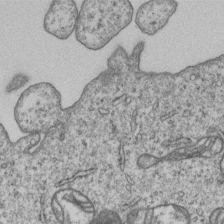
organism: Human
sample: MDA-MB-231 cells